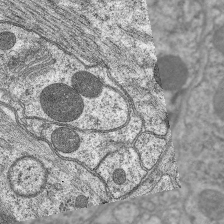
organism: C. elegans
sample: Pharynx